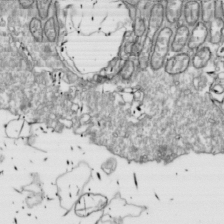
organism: Drosophila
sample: Cell division; meiosis; drosophila spermatocytes